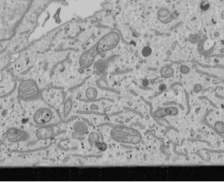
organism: Human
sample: Mitochondria in U2OS cells